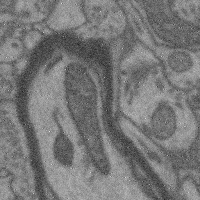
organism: Mouse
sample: Cerebral cortex